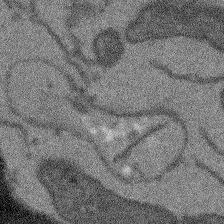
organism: Arabidopsis thaliana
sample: Root tip